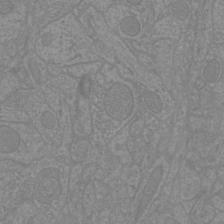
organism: Mouse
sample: Cortical neurons